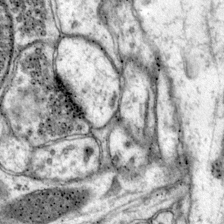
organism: Mouse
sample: Primary visual cortex